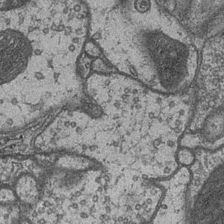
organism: Drosophila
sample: Optic medulla